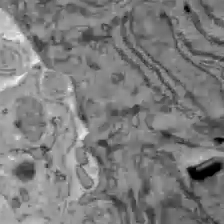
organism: C57BL Mouse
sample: Liver